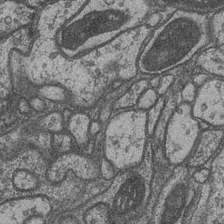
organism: Drosophila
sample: Optic medulla